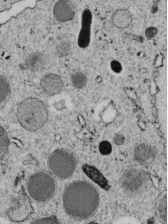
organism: C. elegans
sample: C. elegans embryo early stage